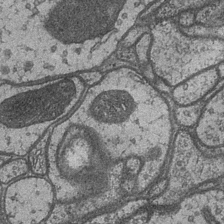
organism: Drosophila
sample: Optic medulla